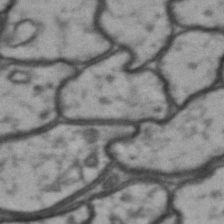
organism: Drosophila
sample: Brain